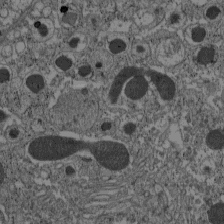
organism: C57BL Mouse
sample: Pancreatic islet